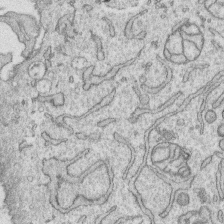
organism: Human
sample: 1205lu cells